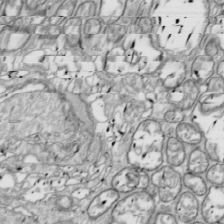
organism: Drosophila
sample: Cell division; meiosis; drosophila spermatocytes